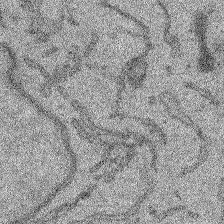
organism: Human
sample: HeLa cells